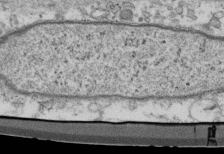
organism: Mouse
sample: Cilia; retinal pigment epithelium